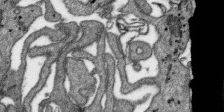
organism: Human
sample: Lung epithelial cells, uninfected (mock) control